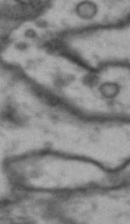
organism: Drosophila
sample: Brain